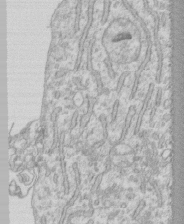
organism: Human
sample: CRL-1474